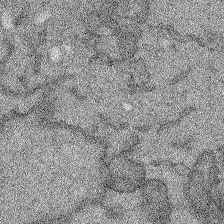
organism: Human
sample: HeLa cells